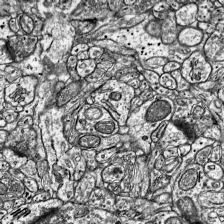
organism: Mouse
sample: Visual Cortex